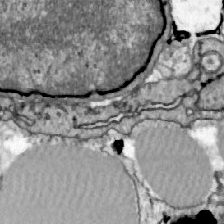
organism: Zebrafish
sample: Actinotrichia fibers